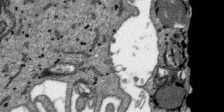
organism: Human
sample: Lung epithelial cells, uninfected (mock) control